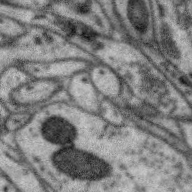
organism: Zebra finch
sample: Brain